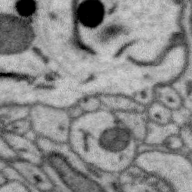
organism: Zebra finch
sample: Brain